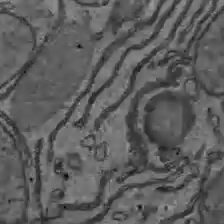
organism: C57BL Mouse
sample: Liver